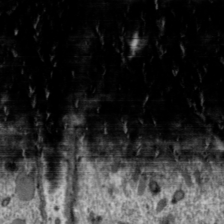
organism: Toxoplasma gondii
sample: Parasites in a vacuole inside a host cell